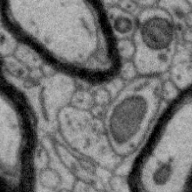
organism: Zebra finch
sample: Brain